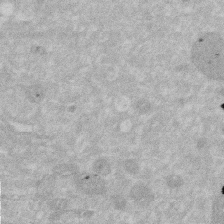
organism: Human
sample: HIV infected U937 cells